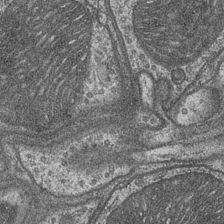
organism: Drosophila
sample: Optic medulla